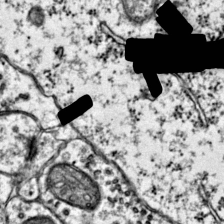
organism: Mouse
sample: Primary visual cortex